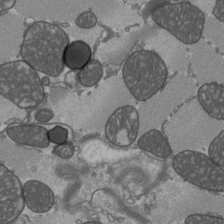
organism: C57BL Mouse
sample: Heart